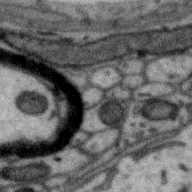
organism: Zebra finch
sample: Brain